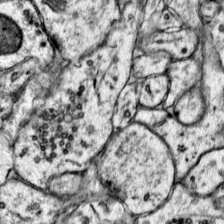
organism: Mouse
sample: Primary visual cortex